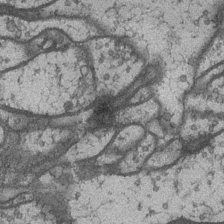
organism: Drosophila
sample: Optic medulla